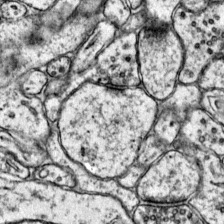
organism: Mouse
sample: Primary visual cortex